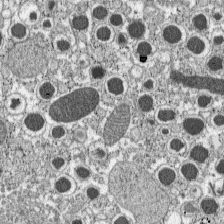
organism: C57BL Mouse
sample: Pancreatic islet